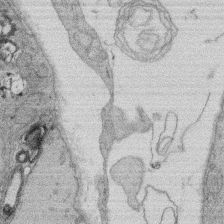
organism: Rat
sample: Salivary granule